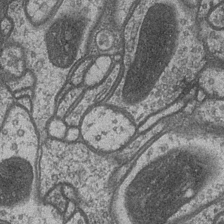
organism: Drosophila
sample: Optic medulla